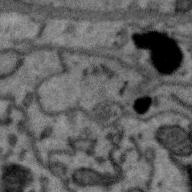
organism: Zebra finch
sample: Brain